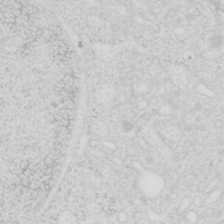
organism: Mouse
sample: Pancreas